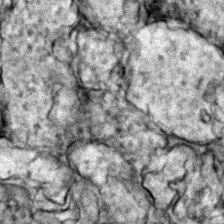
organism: Zebrafish